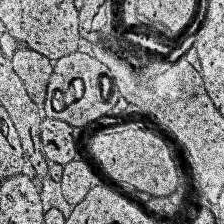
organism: Human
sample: Temporal Lobe